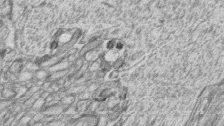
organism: Zebrafish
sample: synaptic ribbons in rod cells and cone cells